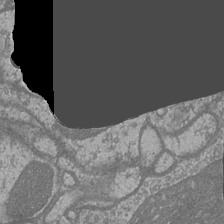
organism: Drosophila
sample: Optic medulla